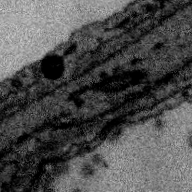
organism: Zebra finch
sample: Brain